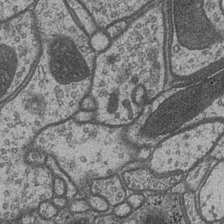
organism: Drosophila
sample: Optic medulla